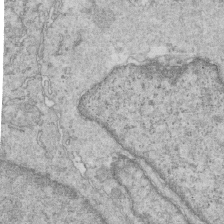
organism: Mouse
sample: Multiciliated cells